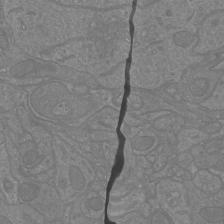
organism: Mouse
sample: Cortical neurons